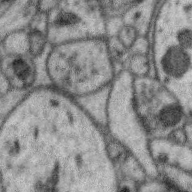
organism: Zebra finch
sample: Brain